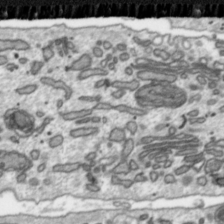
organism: Toxoplasma gondii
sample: Parasites in a vacuole inside a host cell